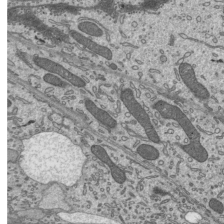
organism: Mouse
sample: Mouse epididymis efferent ductule cilia